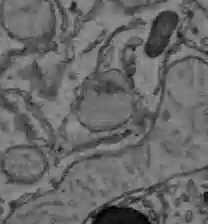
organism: C57BL Mouse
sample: Liver